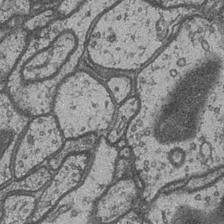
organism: Drosophila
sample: Optic medulla